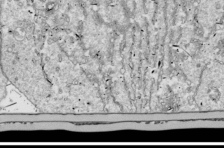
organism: Drosophila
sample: Cell division; meiosis; drosophila spermatocytes